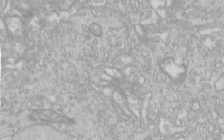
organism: Human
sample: Centriole in RPE cells